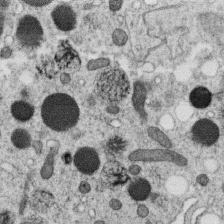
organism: C. elegans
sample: C. elegans oocyte; sperm cells